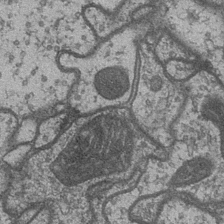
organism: Drosophila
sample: Optic medulla